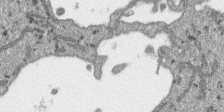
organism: Human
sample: Lung epithelial cells infected with SARS-CoV-2